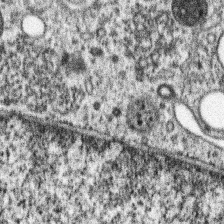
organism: Human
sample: HeLa cells